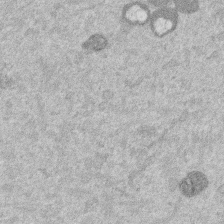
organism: Mouse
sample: Dividing mouse embryo 1 cell stage